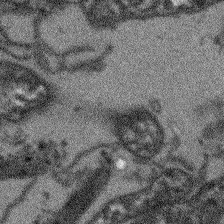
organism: Arabidopsis thaliana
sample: Root tip